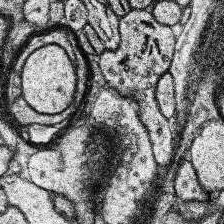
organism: Human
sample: Temporal Lobe